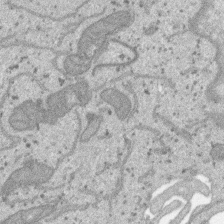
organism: Human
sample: Lung epithelial cells infected with SARS-CoV-2